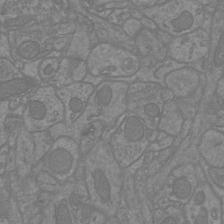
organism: Mouse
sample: Cortical neurons